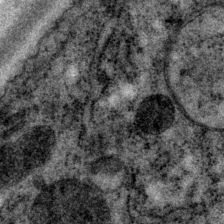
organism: P. pacificus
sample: Pharynx